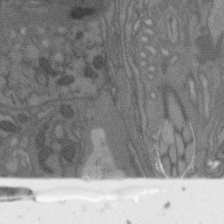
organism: C. elegans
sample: AFD neurons C. elegans